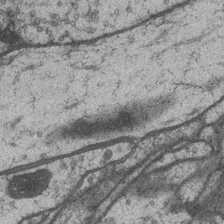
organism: Drosophila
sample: Optic medulla